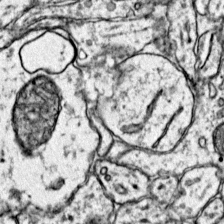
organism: Mouse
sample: Primary visual cortex